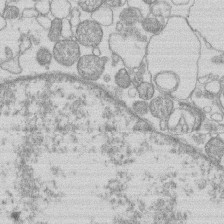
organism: Human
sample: Macrophage cells